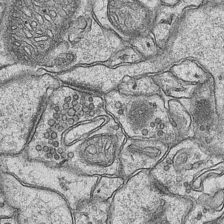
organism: Mouse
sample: CA1 Hippocampus